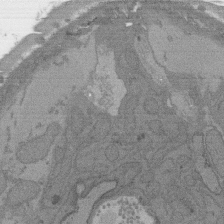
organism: C. elegans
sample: AFD neurons C. elegans